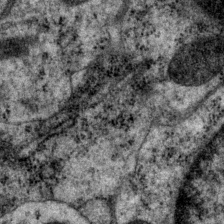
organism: P. pacificus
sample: Pharynx